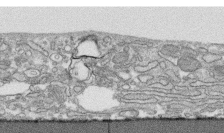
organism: Human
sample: CRL-1474